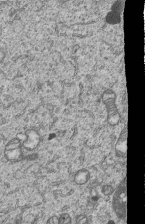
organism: Human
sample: MDA-MB-231 cells